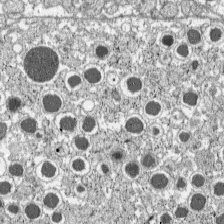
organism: C57BL Mouse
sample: Pancreatic islet